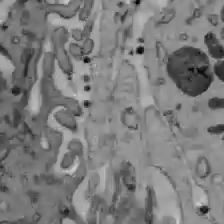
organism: C57BL Mouse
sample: Liver